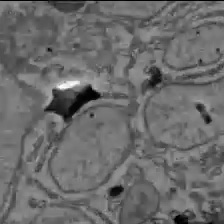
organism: C57BL Mouse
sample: Liver